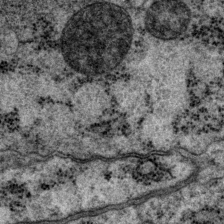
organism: P. pacificus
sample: Pharynx